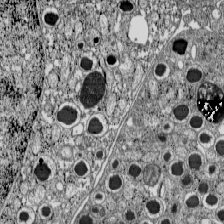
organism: C57BL Mouse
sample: Pancreatic islet